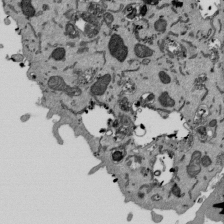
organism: Mouse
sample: ED-1 cell nuclei; centrioles